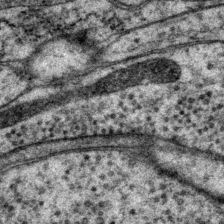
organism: P. pacificus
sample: Pharynx